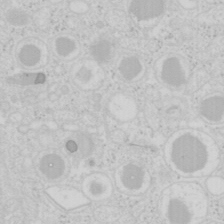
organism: Mouse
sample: Pancreas